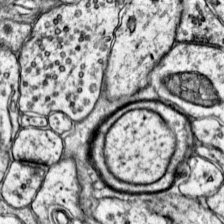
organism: Mouse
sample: Primary visual cortex